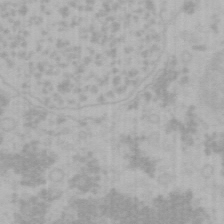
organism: Mouse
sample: Choroid plexus